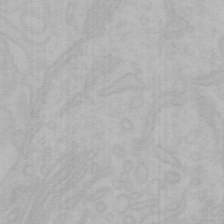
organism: Mouse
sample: Choroid plexus